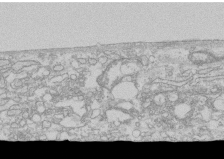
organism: Human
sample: CRL-1474